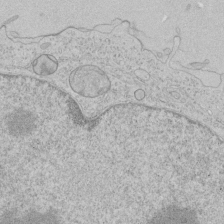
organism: Human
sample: Mitochondria in HCT116 cells